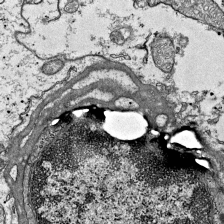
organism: Mouse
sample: Visual Cortex